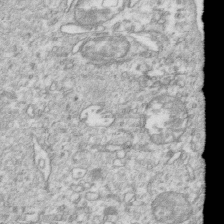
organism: Mouse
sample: Activated OT-1 CD8+ T cells